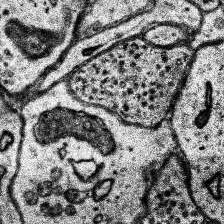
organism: Human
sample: Temporal Lobe